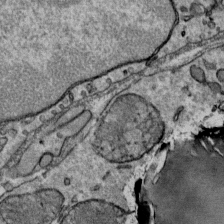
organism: Mouse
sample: Mouse Salivary gland